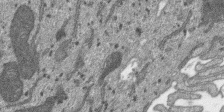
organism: Human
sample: Lung epithelial cells infected with SARS-CoV-2